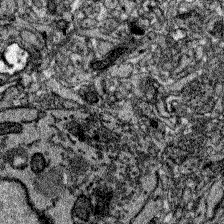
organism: Zebrafish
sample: Larval olfactory bulb